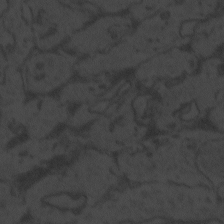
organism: Zebrafish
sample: Macrophage infected with Toxoplasma gondii